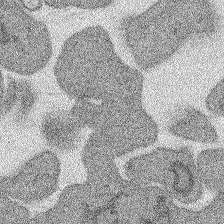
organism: Human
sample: HeLa cells